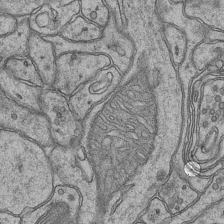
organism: Mouse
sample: CA1 Hippocampus